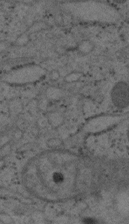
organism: Human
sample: HeLa cells